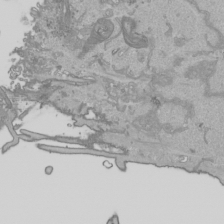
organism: Human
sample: Mitochondria in HCT116 cells